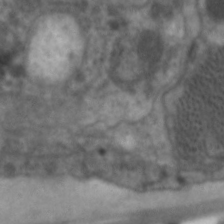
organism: C. elegans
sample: Pharynx